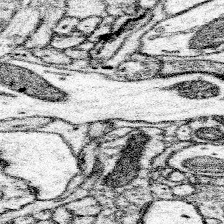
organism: Mouse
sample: Somatosensory cortex neuropil